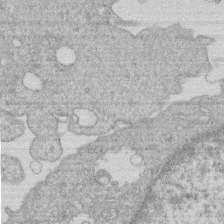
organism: Human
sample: Macrophage cells